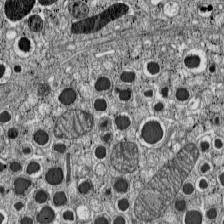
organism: C57BL Mouse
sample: Pancreatic islet